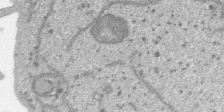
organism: Human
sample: Lung epithelial cells infected with SARS-CoV-2